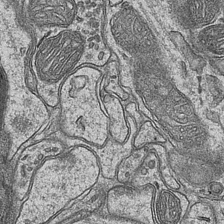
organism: Mouse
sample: CA1 Hippocampus